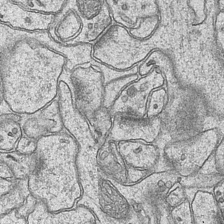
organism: Mouse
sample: CA1 Hippocampus